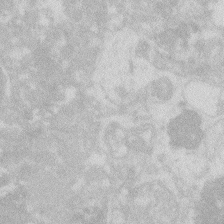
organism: Zebrafish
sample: Macrophage